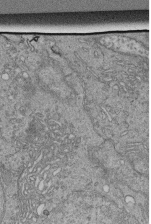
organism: Human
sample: Retinal organoid Rod and Cone cells